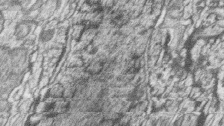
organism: Zebrafish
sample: synaptic ribbons in rod cells and cone cells